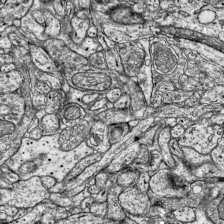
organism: Mouse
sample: Visual Cortex